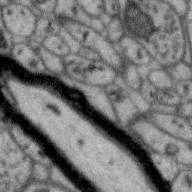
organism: Zebra finch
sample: Brain